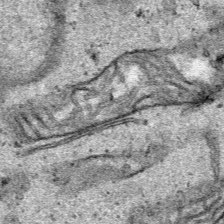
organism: Human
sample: Mitochondria in HCT116 cells